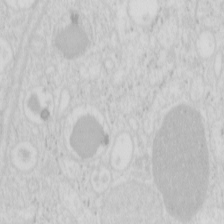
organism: Mouse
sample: Pancreas